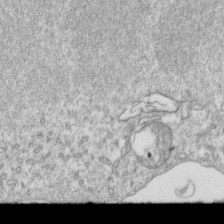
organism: Mouse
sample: Activated OT-1 CD8+ T cells